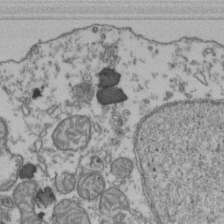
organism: Human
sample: Activated Jurkat CD4+ T cells